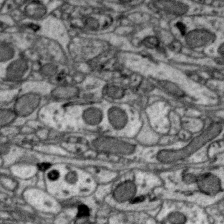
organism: Zebra finch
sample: Brain